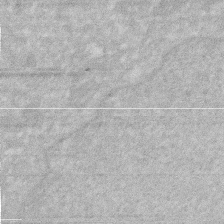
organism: Human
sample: HIV infected U937 cells